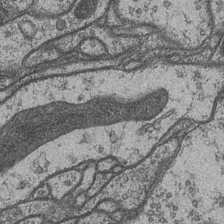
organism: Drosophila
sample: Optic medulla